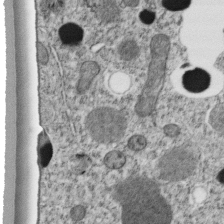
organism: C. elegans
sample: C. elegans embryo early stage